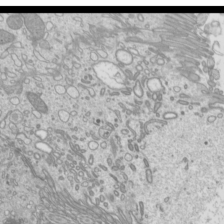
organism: Mouse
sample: Cilia; mouse epididymis